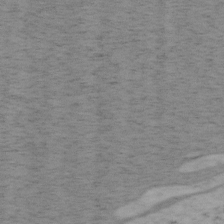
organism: Mouse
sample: OT-I killer T cells with ID8 ovarian cancer cells